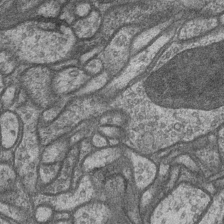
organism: Drosophila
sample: Optic medulla